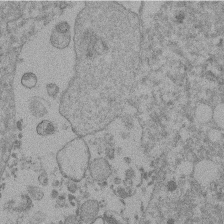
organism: Mouse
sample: Dividing mouse embryo 1 cell stage